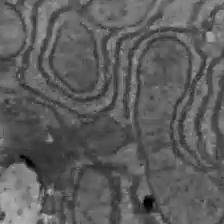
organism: C57BL Mouse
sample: Liver